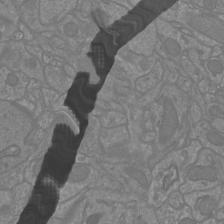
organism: Mouse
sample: Cortical neurons